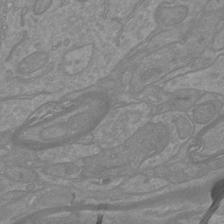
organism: Mouse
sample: Cortical neurons